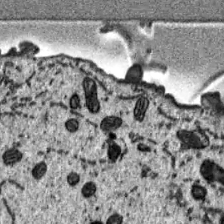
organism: Human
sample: HeLa cells